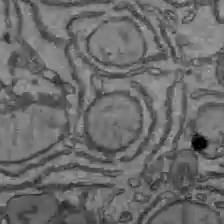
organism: C57BL Mouse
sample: Liver